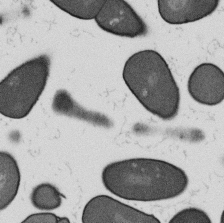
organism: B. subtilis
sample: Bacterial spore